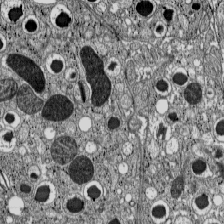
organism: C57BL Mouse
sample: Pancreatic islet